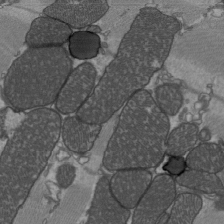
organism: C57BL Mouse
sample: Heart